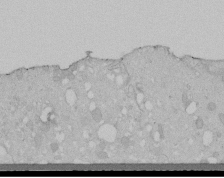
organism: Human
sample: Melanocyte Keratinocyte synapse skin construct